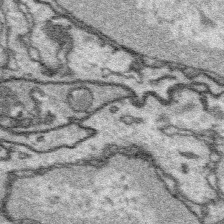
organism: Platynereis dumerilii